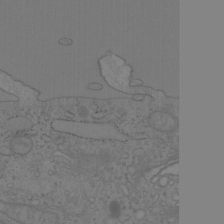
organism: Human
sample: HeLa cells